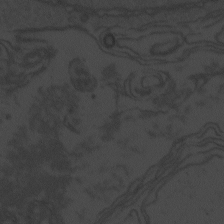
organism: Zebrafish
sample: Macrophage infected with Toxoplasma gondii